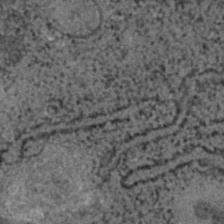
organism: C. elegans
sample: C. elegans embryo